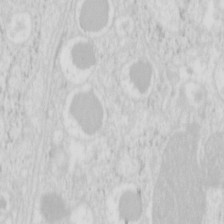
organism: Mouse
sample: Pancreas